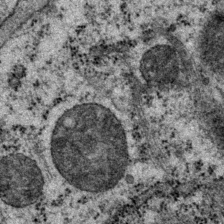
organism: P. pacificus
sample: Pharynx